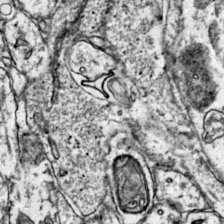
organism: Mouse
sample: Primary visual cortex